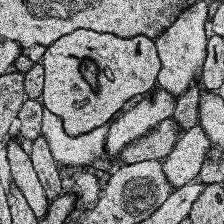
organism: Human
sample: Temporal Lobe